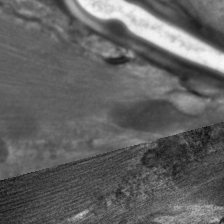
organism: C. elegans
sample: Pharynx